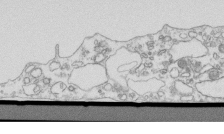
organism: Mouse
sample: Macrophages